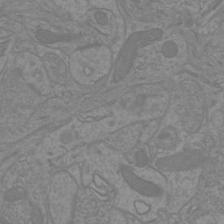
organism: Mouse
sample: Cortical neurons